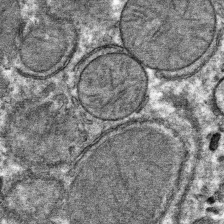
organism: Mouse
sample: Mouse hepatocytes